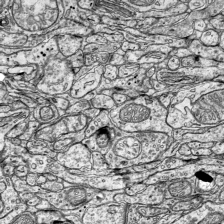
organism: Mouse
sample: Visual Cortex